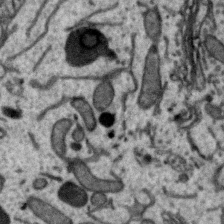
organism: Zebra finch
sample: Brain